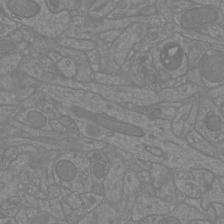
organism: Mouse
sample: Cortical neurons